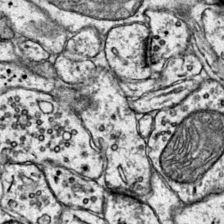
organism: Mouse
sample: Primary visual cortex